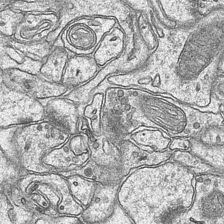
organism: Mouse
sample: CA1 Hippocampus